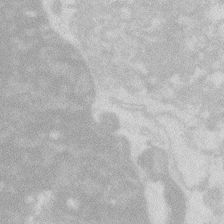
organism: Zebrafish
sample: Macrophage